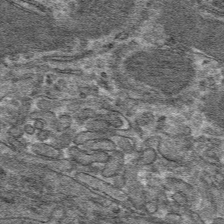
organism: Mouse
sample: Mouse hepatocytes